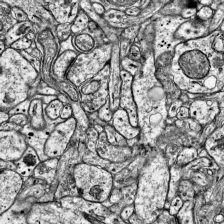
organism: Mouse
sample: Visual Cortex